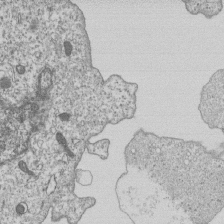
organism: Human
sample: MDA-MB-231 cells